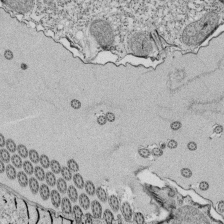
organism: Tetrahymena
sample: Cilia in tetrahymena